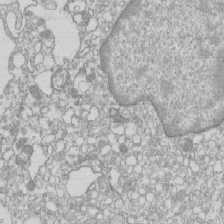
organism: Mouse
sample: Macrophages